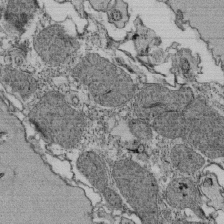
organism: Tetrahymena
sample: Cilia in tetrahymena